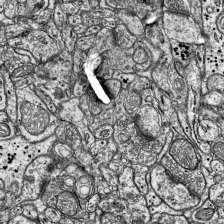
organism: Mouse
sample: Visual Cortex